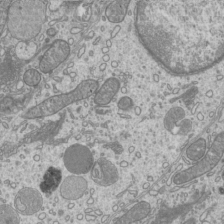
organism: Mouse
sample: Cilia; mouse epididymis